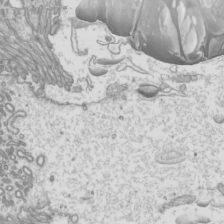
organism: Mouse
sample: Cilia; mouse epididymis